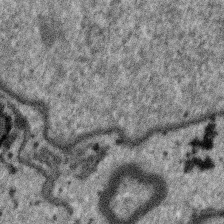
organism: Human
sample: Lung epithelial cells infected with SARS-CoV-2